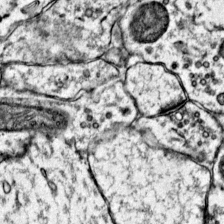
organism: Mouse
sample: Primary visual cortex